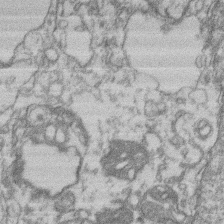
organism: Mouse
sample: T cell stromal cell synapse